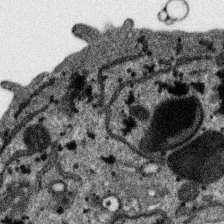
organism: Human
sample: Lung epithelial cells infected with SARS-CoV-2